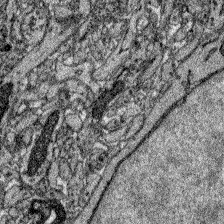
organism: Zebrafish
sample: Larval olfactory bulb